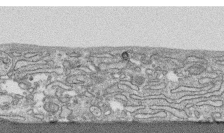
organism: Human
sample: CRL-1474